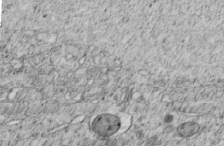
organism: C. elegans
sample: C. elegans embryo early stage